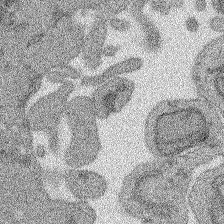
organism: Human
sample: HeLa cells